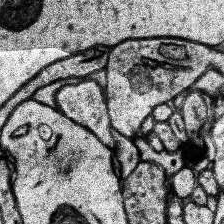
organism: Human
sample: Temporal Lobe